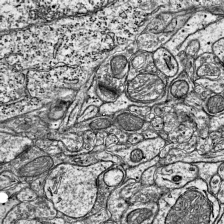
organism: Mouse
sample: Visual Cortex